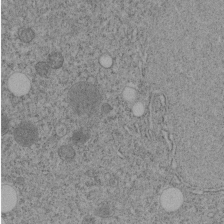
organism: C. elegans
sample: C. elegans embryo early stage